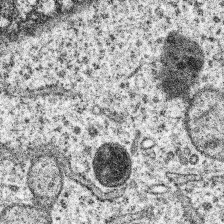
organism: Human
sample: HeLa cells